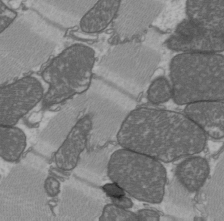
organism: C57BL Mouse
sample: Heart